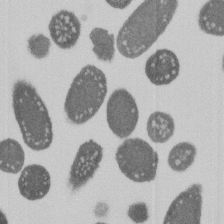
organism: E. coli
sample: Bacterial nucleoid